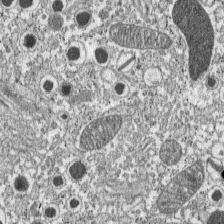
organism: C57BL Mouse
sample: Pancreatic islet